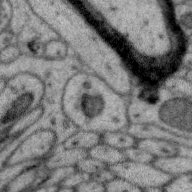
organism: Zebra finch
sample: Brain